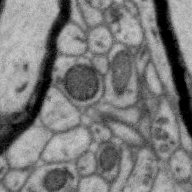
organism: Zebra finch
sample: Brain